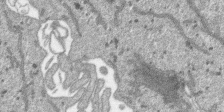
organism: Human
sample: Lung epithelial cells infected with SARS-CoV-2